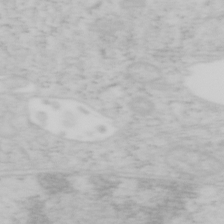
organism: Mouse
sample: OT-I killer T cells with ID8 ovarian cancer cells